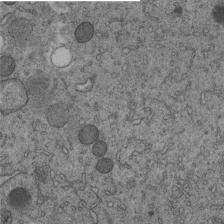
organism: C. elegans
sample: C. elegans embryo early stage